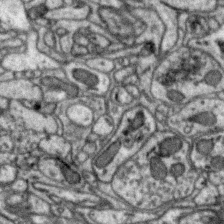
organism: Zebra finch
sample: Brain